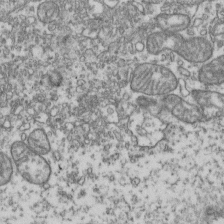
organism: Human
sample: Activated Jurkat CD4+ T cells